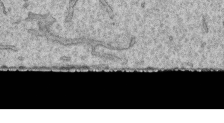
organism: Human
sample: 1205lu cells